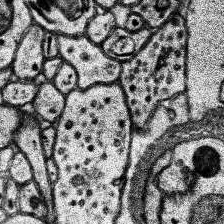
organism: Human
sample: Temporal Lobe